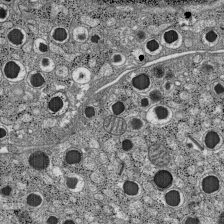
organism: C57BL Mouse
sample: Pancreatic islet